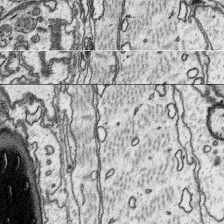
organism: Platynereis dumerilii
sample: Parapodia